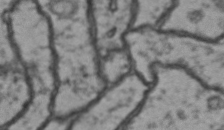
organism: Drosophila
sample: Brain